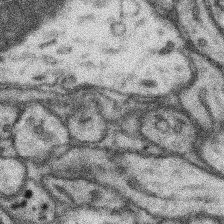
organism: Mouse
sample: Somatosensory cortex neuropil